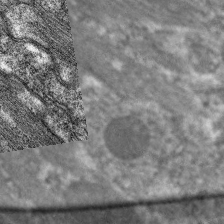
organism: C. elegans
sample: Pharynx